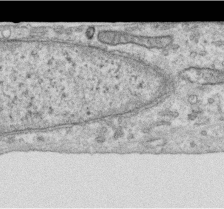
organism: Human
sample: Centriole in RPE cells